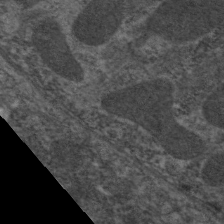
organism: C. elegans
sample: Pharynx